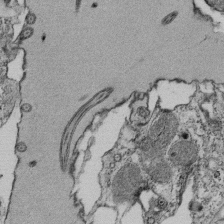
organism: Tetrahymena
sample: Cilia in tetrahymena